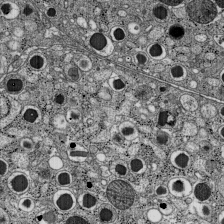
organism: C57BL Mouse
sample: Pancreatic islet